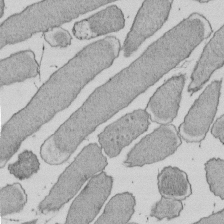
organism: E. coli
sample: Bacterial nucleoid